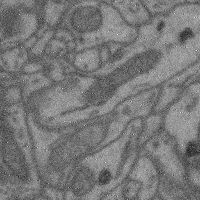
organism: Mouse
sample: Cerebral cortex